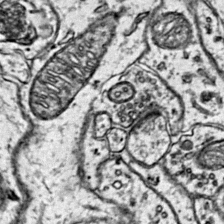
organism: Mouse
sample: Primary visual cortex